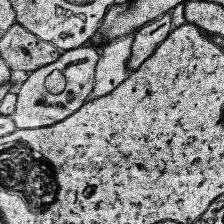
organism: Human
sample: Temporal Lobe